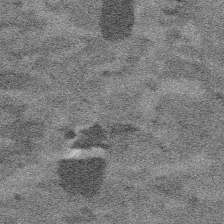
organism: Platynereis dumerilii